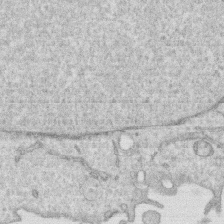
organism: Human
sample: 1205lu cells